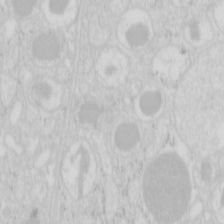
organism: Mouse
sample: Pancreas